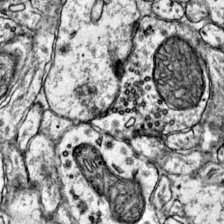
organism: Mouse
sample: Primary visual cortex